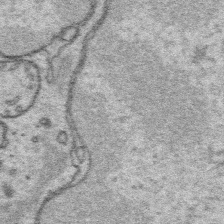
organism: Platynereis dumerilii